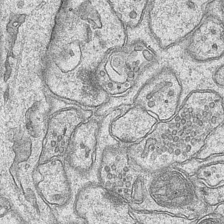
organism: Mouse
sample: CA1 Hippocampus